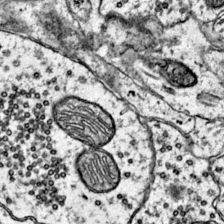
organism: Mouse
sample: Primary visual cortex